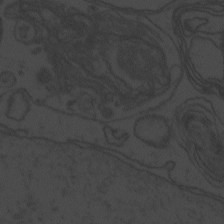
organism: Zebrafish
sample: Macrophage infected with Toxoplasma gondii